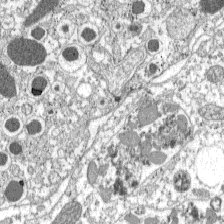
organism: C57BL Mouse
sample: Pancreatic islet